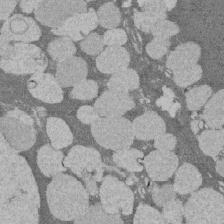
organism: Rat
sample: Salivary granule